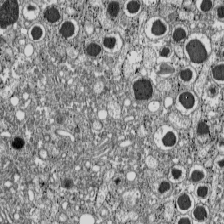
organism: C57BL Mouse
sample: Pancreatic islet